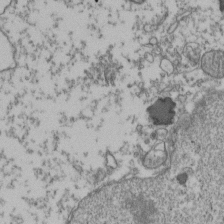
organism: Human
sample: Activated Jurkat CD4+ T cells